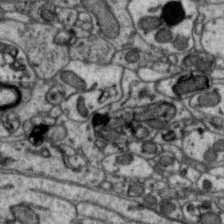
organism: Zebra finch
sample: Brain